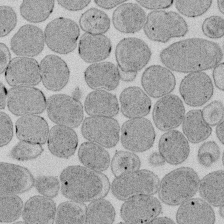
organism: E. coli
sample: Bacterial nucleoid